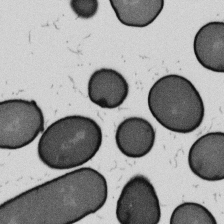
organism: B. subtilis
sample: Bacterial spore